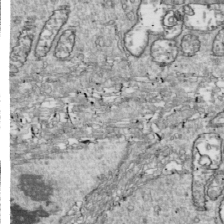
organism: Drosophila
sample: Cell division; meiosis; drosophila spermatocytes